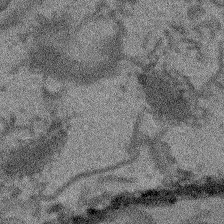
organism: Arabidopsis thaliana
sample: Root tip